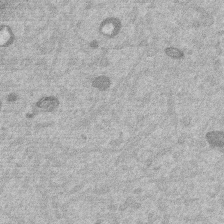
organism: Mouse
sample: Dividing mouse embryo 1 cell stage